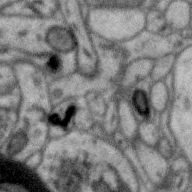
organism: Zebra finch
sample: Brain